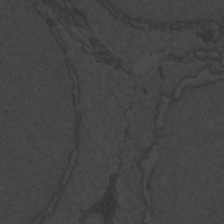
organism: Zebrafish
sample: Macrophage infected with Toxoplasma gondii